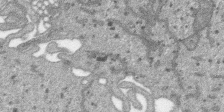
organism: Human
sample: Lung epithelial cells infected with SARS-CoV-2